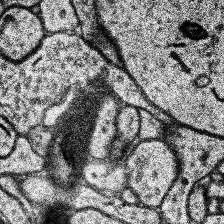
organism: Human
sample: Temporal Lobe